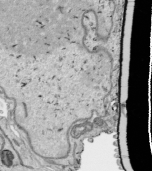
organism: Human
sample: Mitochondria in HCT116 cells